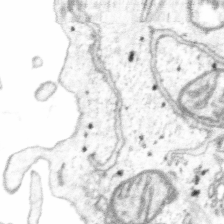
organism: Human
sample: HeLa cells